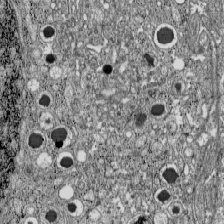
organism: C57BL Mouse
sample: Pancreatic islet